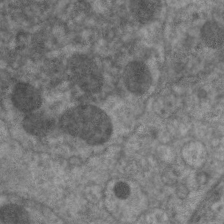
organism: C. elegans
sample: Pharynx